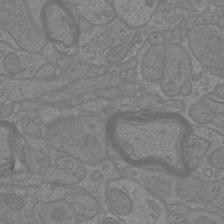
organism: Mouse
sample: Cortical neurons